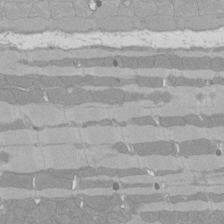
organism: Rat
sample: Left ventricle